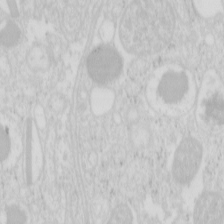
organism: Mouse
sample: Pancreas